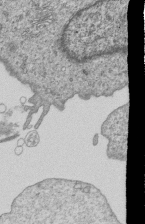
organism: Human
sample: MDA-MB-231 cells